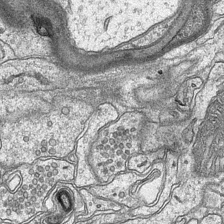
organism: Mouse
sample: CA1 Hippocampus